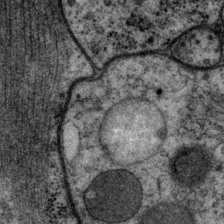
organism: P. pacificus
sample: Pharynx